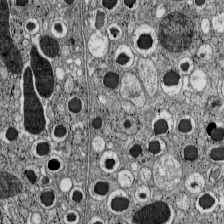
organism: C57BL Mouse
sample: Pancreatic islet